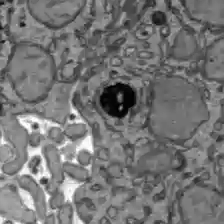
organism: C57BL Mouse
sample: Liver